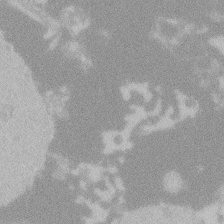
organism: Zebrafish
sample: Macrophage infected with Toxoplasma gondii